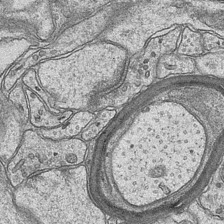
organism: Mouse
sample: CA1 Hippocampus